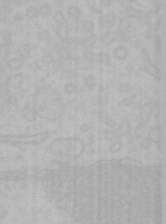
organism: Mouse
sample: Choroid plexus